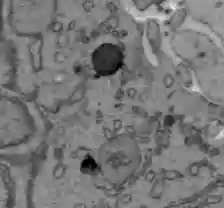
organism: C57BL Mouse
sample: Liver